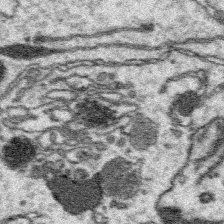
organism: Platynereis dumerilii